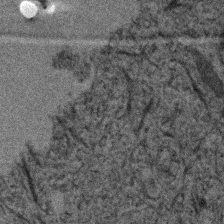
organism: Human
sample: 1205lu cells